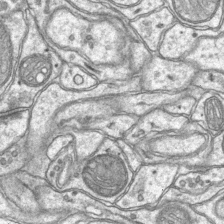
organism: Mouse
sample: CA1 Hippocampus